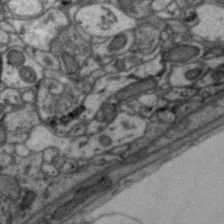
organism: Zebra finch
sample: Brain